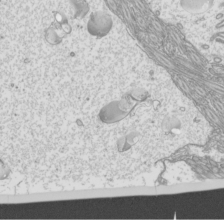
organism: Mouse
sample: Cilia; mouse epididymis